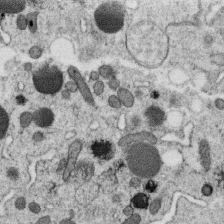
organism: C. elegans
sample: C. elegans oocyte; sperm cells